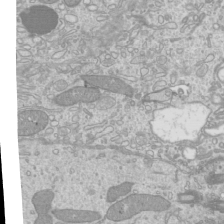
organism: Mouse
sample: Cilia; mouse epididymis